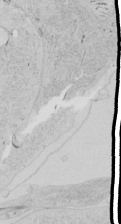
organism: Human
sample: Mitochondria in HCT116 cells